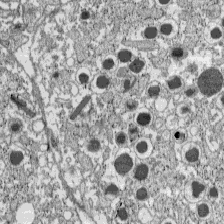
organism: C57BL Mouse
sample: Pancreatic islet